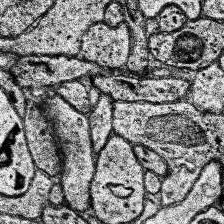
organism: Human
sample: Temporal Lobe